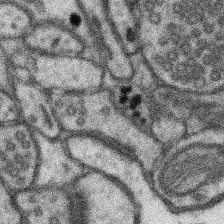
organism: Mouse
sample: Somatosensory cortex neuropil